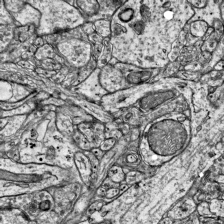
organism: Mouse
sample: Visual Cortex